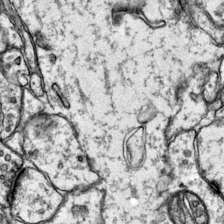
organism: Mouse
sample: Primary visual cortex